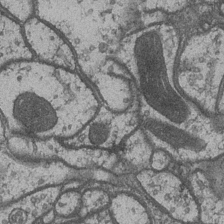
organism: Drosophila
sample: Optic medulla